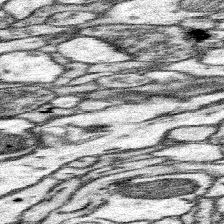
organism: Mouse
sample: Somatosensory cortex neuropil